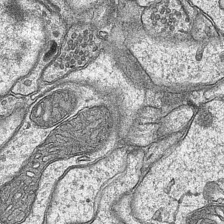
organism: Mouse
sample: CA1 Hippocampus